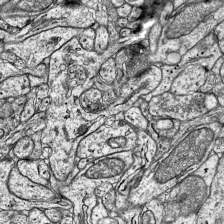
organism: Mouse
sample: Visual Cortex